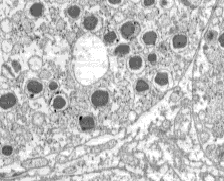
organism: C57BL Mouse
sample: Pancreatic islet